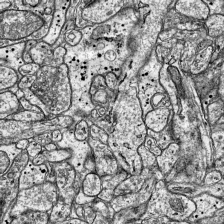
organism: Mouse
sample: Visual Cortex